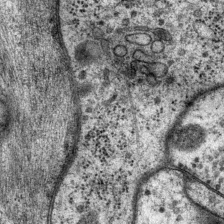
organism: P. pacificus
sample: Pharynx